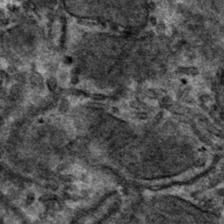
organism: Mouse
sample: Mouse hepatocytes